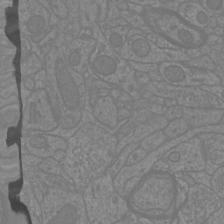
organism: Mouse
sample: Cortical neurons